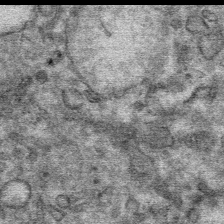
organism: Mouse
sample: Mouse Salivary gland